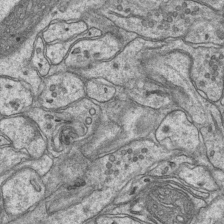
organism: Mouse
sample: CA1 Hippocampus